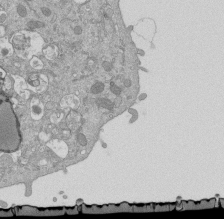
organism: Mouse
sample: ED-1 cell nuclei; centrioles